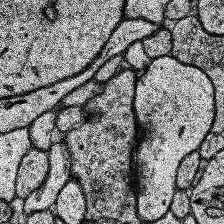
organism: Human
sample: Temporal Lobe